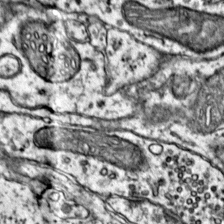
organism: Mouse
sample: Primary visual cortex